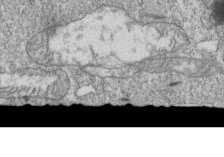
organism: Human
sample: HeLa cell HIV synapse